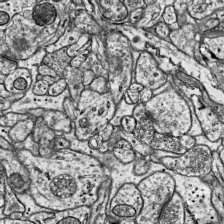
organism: Mouse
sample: Visual Cortex